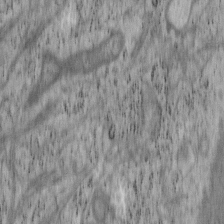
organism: Human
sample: HeLa cells